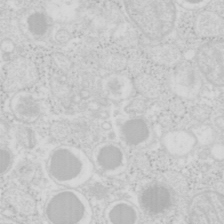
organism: Mouse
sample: Pancreas